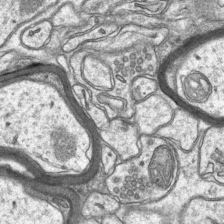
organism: Mouse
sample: CA1 Hippocampus